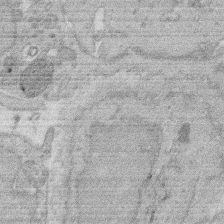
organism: Rat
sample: Salivary granule